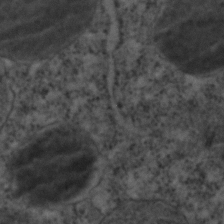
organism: C. elegans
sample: C. elegans embryo